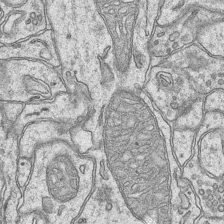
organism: Mouse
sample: CA1 Hippocampus